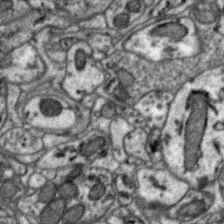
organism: Zebra finch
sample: Brain